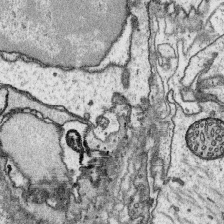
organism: Platynereis dumerilii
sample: Parapodia